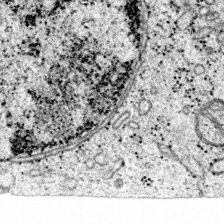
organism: Human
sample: HeLa cells